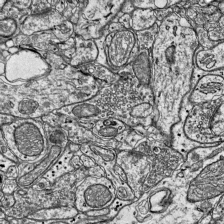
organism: Mouse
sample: Visual Cortex